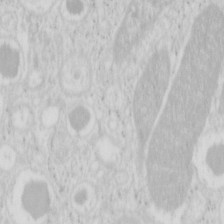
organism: Mouse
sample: Pancreas